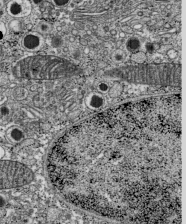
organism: C57BL Mouse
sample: Pancreatic islet